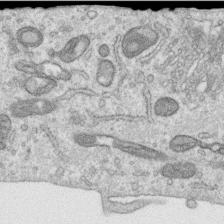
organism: Human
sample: Centriole in RPE cells